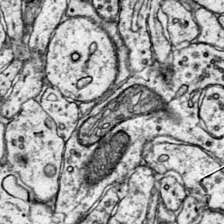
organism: Mouse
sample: Primary visual cortex